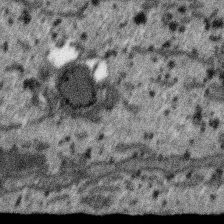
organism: Human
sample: Lung epithelial cells infected with SARS-CoV-2